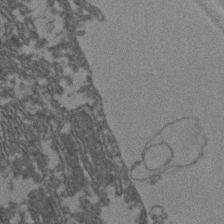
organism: Zebrafish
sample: Zebrafish embryo